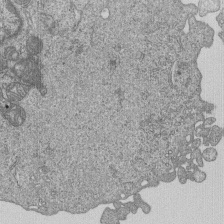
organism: Human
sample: MDA-MB-231 cells